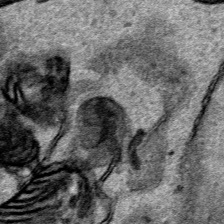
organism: Human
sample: Mitochondria in HCT116 cells